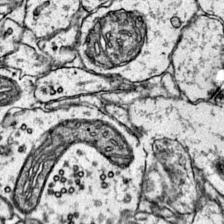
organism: Mouse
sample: Primary visual cortex